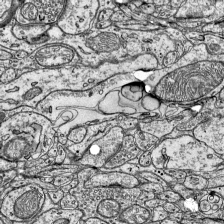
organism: Mouse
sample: Visual Cortex